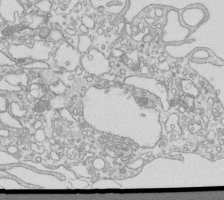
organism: Mouse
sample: Macrophages